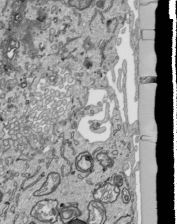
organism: Human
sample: Mitochondria in HCT116 cells